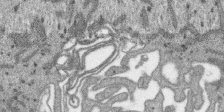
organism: Human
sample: Lung epithelial cells infected with SARS-CoV-2